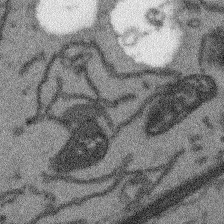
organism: Arabidopsis thaliana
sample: Root tip